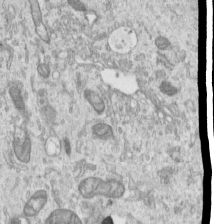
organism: Human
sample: Centriole in RPE cells